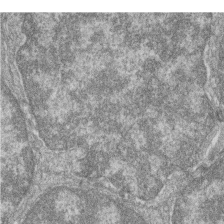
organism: Zebrafish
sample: Cilia; retinal pigment epithelium